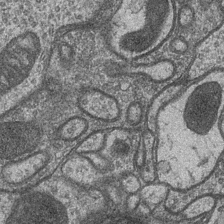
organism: Drosophila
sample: Optic medulla